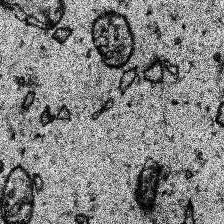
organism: Human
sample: Temporal Lobe